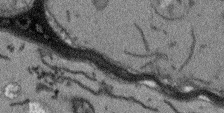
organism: Arabidopsis thaliana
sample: Root tip